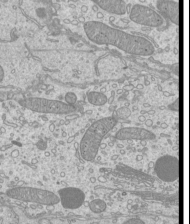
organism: Mouse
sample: Cilia; mouse epididymis